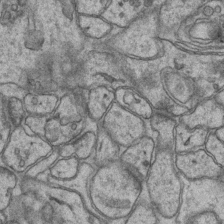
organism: Mouse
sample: CA1 Hippocampus